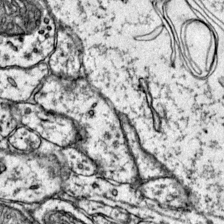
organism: Mouse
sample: Primary visual cortex